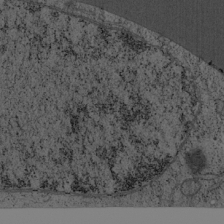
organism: African green monkey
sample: COS-7 cells